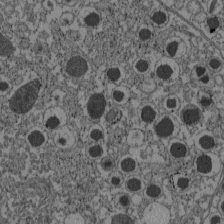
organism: C57BL Mouse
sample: Pancreatic islet